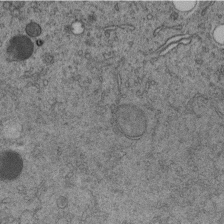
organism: C. elegans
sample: C. elegans embryo early stage